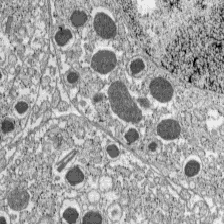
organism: C57BL Mouse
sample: Pancreatic islet